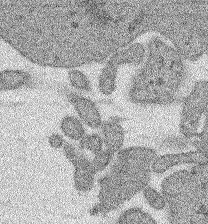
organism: Human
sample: HeLa cells